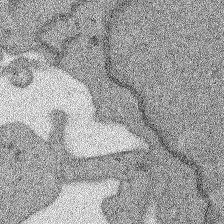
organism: Human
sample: HeLa cells